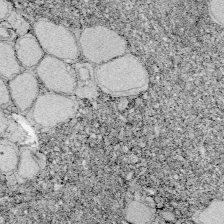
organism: Zebrafish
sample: Whole-Brain